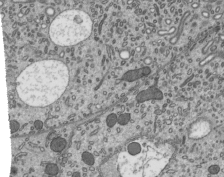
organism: Mouse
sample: Mouse epididymis efferent ductule cilia